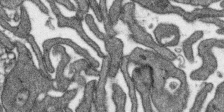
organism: Human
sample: Lung epithelial cells, uninfected (mock) control